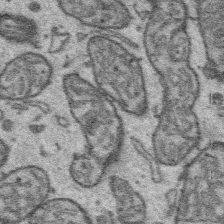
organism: Platynereis dumerilii